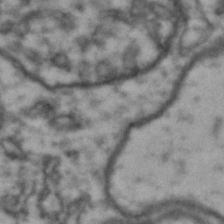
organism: Drosophila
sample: Brain